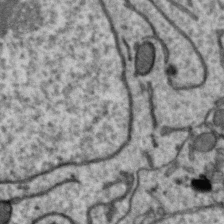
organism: Zebra finch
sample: Brain